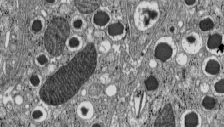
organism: C57BL Mouse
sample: Pancreatic islet